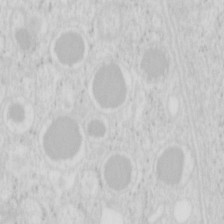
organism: Mouse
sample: Pancreas